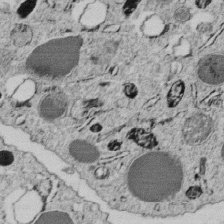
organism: C. elegans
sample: C. elegans embryo early stage